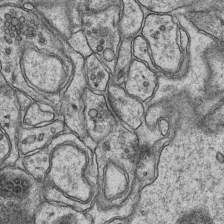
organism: Mouse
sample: CA1 Hippocampus